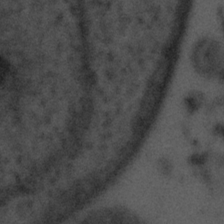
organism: Tuwongella immobilis